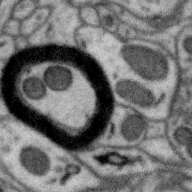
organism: Zebra finch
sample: Brain